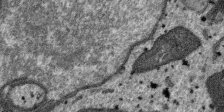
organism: Human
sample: Lung epithelial cells, uninfected (mock) control